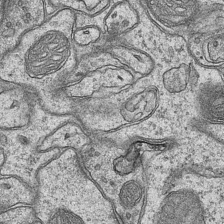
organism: Mouse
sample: CA1 Hippocampus